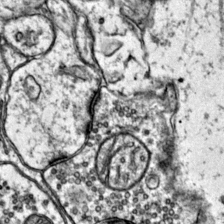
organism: Mouse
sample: Primary visual cortex